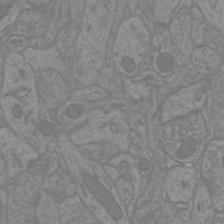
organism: Mouse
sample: Cortical neurons